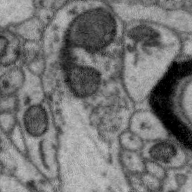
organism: Zebra finch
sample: Brain